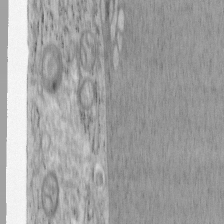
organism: Human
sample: HeLa cells